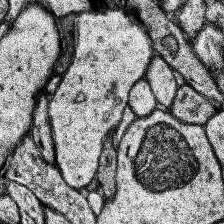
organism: Human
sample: Temporal Lobe